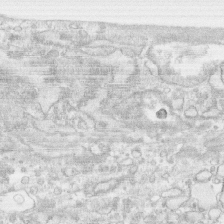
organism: Human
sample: CRL-1474